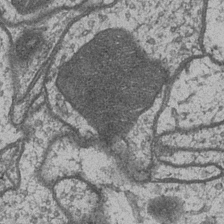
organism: Drosophila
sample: Optic medulla